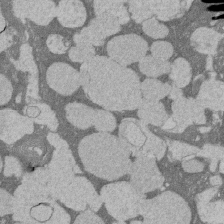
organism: Rat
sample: Salivary granule